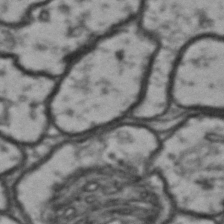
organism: Drosophila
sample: Brain